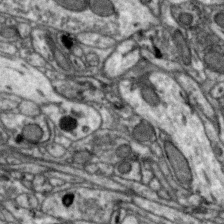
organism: Zebra finch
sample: Brain